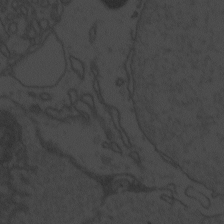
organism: Zebrafish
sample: Macrophage infected with Toxoplasma gondii